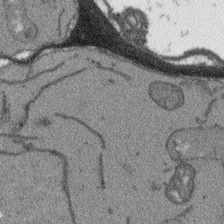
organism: Arabidopsis thaliana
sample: Root tip